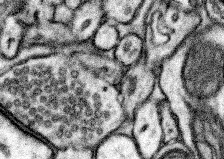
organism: Mouse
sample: Somatosensory cortex neuropil